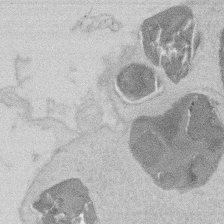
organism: Mouse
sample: T cell stromal cell synapse